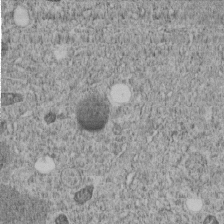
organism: C. elegans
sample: C. elegans embryo early stage